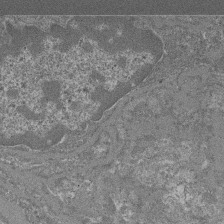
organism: Mouse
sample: Glomerulus